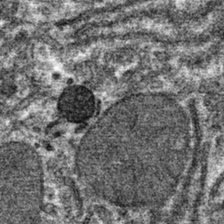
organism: Mouse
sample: Mouse hepatocytes